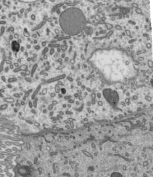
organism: Mouse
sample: Mouse epididymis efferent ductule cilia